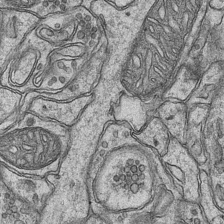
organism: Mouse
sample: CA1 Hippocampus